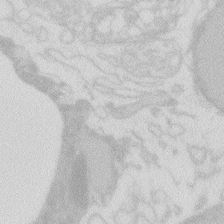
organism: Zebrafish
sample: Macrophage